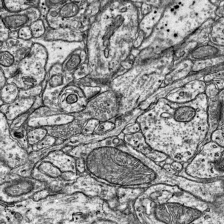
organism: Mouse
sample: Visual Cortex